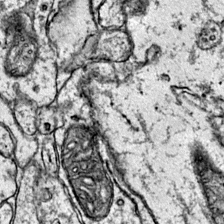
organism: Mouse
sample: Primary visual cortex